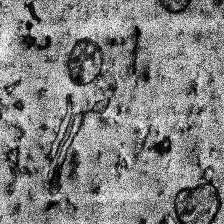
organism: Human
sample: Temporal Lobe